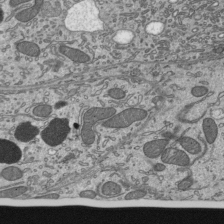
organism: Mouse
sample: Mouse epididymis efferent ductule cilia